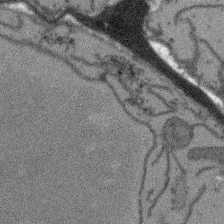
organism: Arabidopsis thaliana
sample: Root tip